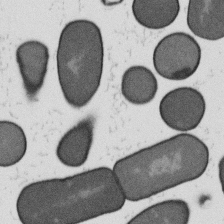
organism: B. subtilis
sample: Bacterial spore